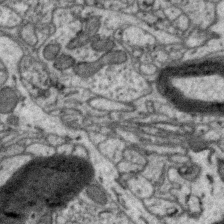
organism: Zebra finch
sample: Brain